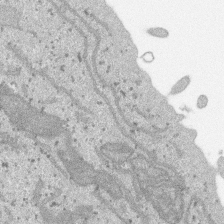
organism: Human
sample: Lung epithelial cells infected with SARS-CoV-2